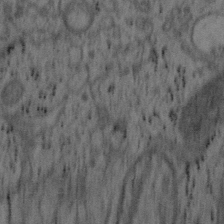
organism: Human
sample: HeLa cells